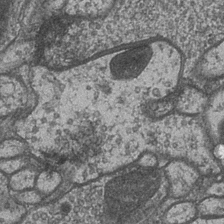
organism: Drosophila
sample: Optic medulla